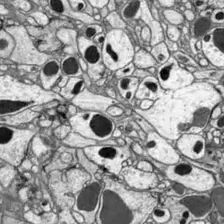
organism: Drosophila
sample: Optic lobe